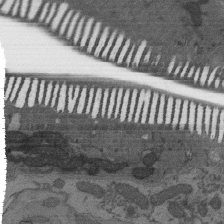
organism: C. elegans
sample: AFD neurons C. elegans